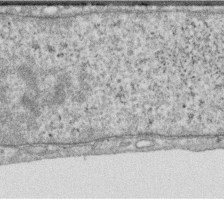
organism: Human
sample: Centriole in RPE cells